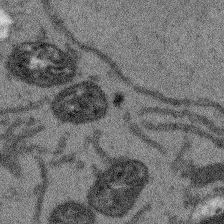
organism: Arabidopsis thaliana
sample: Root tip